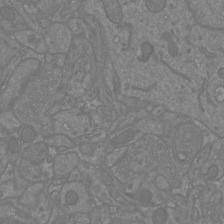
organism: Mouse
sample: Cortical neurons